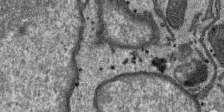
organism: Human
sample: Lung epithelial cells, uninfected (mock) control